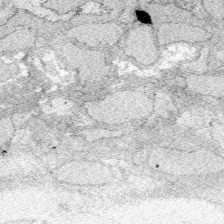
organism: Zebrafish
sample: Whole-Brain